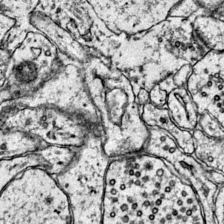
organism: Mouse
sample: Primary visual cortex